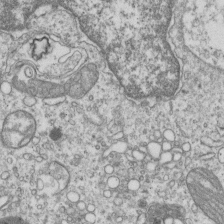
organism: Human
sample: MDA-MB-231 cells